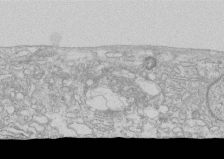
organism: Human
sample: CRL-1474